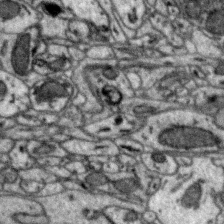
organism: Zebra finch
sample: Brain